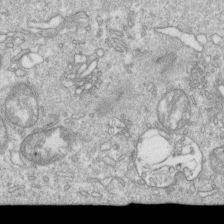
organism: Mouse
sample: Activated OT-1 CD8+ T cells